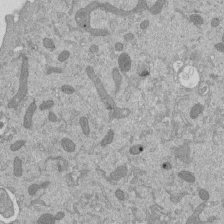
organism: Mouse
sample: ED-1 cell nuclei; centrioles